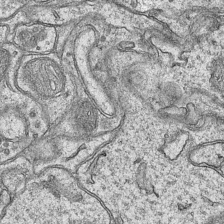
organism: Mouse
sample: CA1 Hippocampus